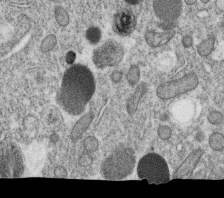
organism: C. elegans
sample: C. elegans oocyte; sperm cells